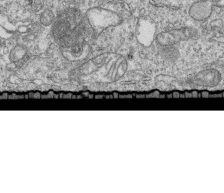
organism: Human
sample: HeLa cell HIV synapse